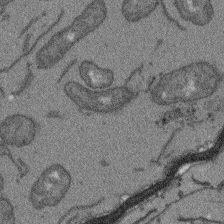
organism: Arabidopsis thaliana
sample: Root tip